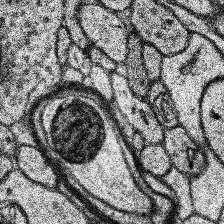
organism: Human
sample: Temporal Lobe